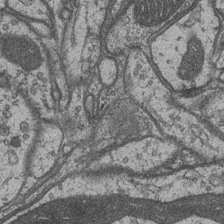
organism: Drosophila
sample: Optic medulla